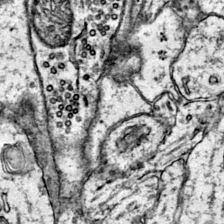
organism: Mouse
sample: Primary visual cortex